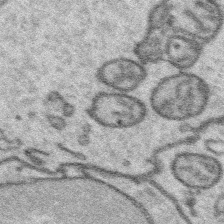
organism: Platynereis dumerilii